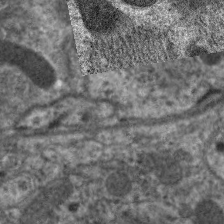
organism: C. elegans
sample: Pharynx